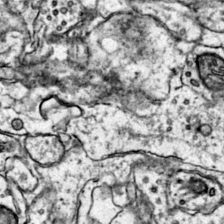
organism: Mouse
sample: Primary visual cortex